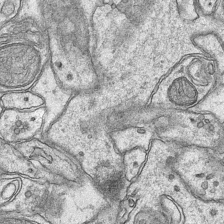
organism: Mouse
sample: CA1 Hippocampus